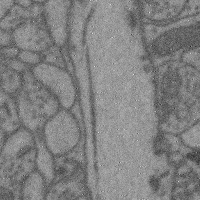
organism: Mouse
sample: Cerebral cortex